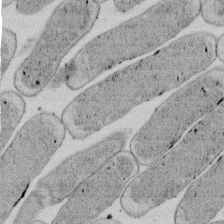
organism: E. coli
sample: Bacterial nucleoid